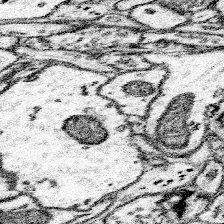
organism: Mouse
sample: Somatosensory cortex neuropil